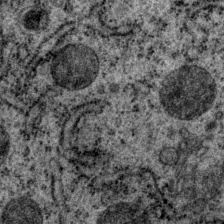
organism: P. pacificus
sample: Pharynx